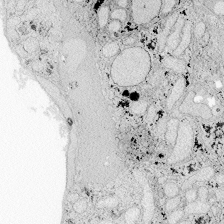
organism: Zebrafish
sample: Whole-Brain